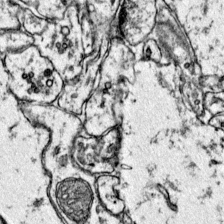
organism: Mouse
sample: Primary visual cortex